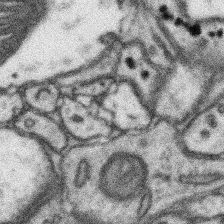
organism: Mouse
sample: Somatosensory cortex neuropil